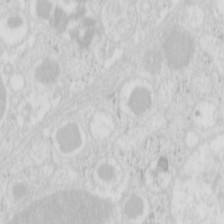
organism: Mouse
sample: Pancreas